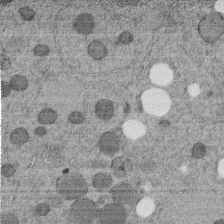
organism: C. elegans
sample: C. elegans embryo early stage